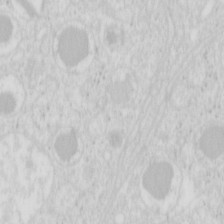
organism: Mouse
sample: Pancreas